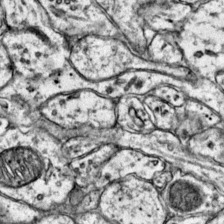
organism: Mouse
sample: Primary visual cortex